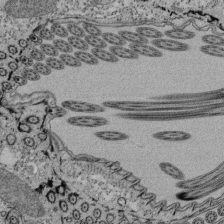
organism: Tetrahymena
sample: Cilia in tetrahymena